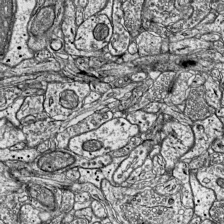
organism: Mouse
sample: Visual Cortex